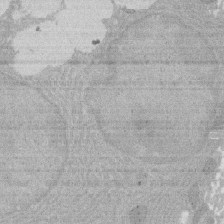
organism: Rat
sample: Salivary granule